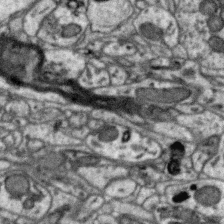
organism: Zebra finch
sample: Brain